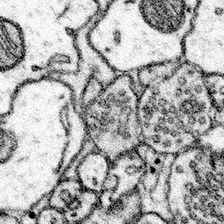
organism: Mouse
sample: Somatosensory cortex neuropil